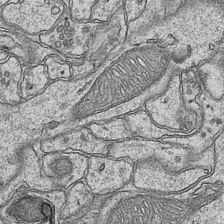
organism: Mouse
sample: CA1 Hippocampus